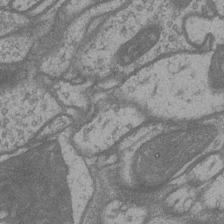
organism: Drosophila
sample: Optic medulla